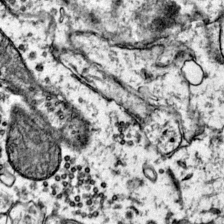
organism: Mouse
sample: Primary visual cortex